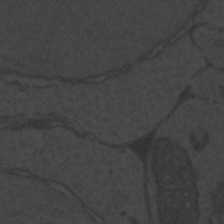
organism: Zebrafish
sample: Macrophage infected with Toxoplasma gondii